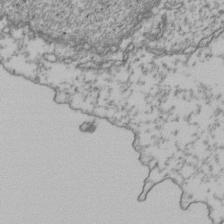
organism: Human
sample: Activated Jurkat CD4+ T cells